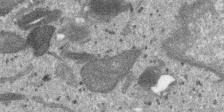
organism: Human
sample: Lung epithelial cells infected with SARS-CoV-2